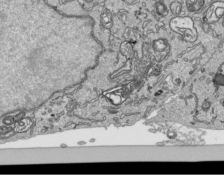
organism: Human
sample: Mitochondria in HCT116 cells